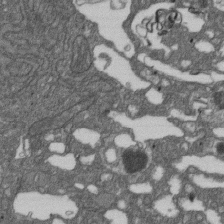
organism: Drosophila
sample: Nephrocyte